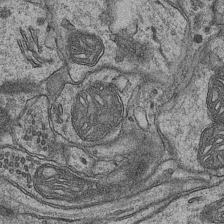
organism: Mouse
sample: CA1 Hippocampus